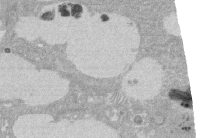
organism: Rat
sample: Salivary granule